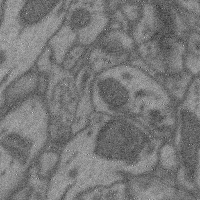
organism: Mouse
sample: Cerebral cortex